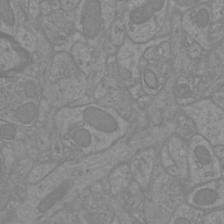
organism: Mouse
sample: Cortical neurons